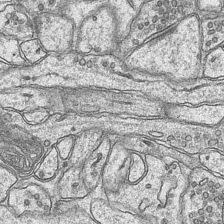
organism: Mouse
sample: CA1 Hippocampus